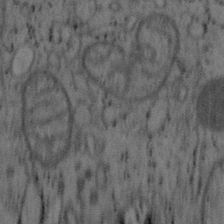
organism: Human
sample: HeLa cells